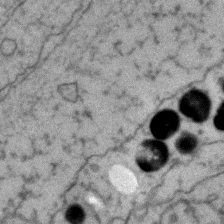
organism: Zebrafish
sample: Zebrafish embryo